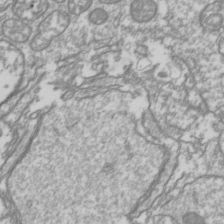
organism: Drosophila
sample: Cell division; meiosis; drosophila spermatocytes